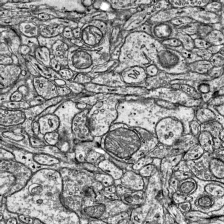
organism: Mouse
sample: Visual Cortex